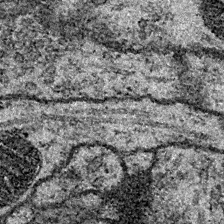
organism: Drosophila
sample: Ventral Nerve Cord